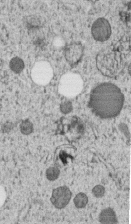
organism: C. elegans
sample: C. elegans embryo early stage